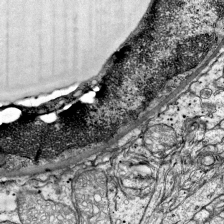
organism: Mouse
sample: Visual Cortex